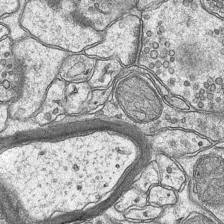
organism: Mouse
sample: CA1 Hippocampus